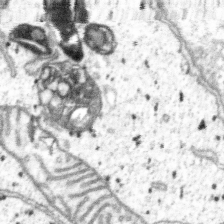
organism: Human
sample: HeLa cells